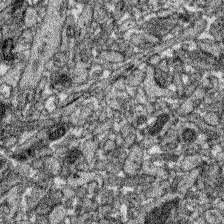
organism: Zebrafish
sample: Larval olfactory bulb